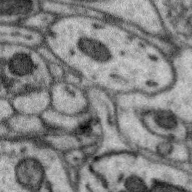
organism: Zebra finch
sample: Brain